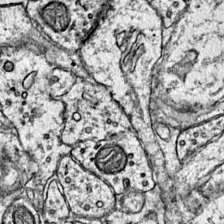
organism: Mouse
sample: Primary visual cortex